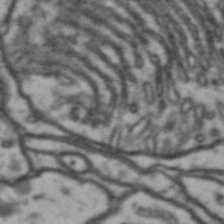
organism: Drosophila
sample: Brain